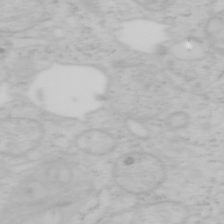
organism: Mouse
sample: OT-I killer T cells with ID8 ovarian cancer cells